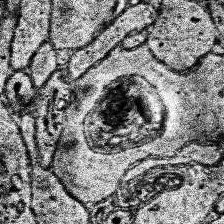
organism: Human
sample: Temporal Lobe